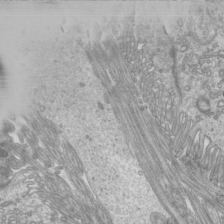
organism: Mouse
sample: Cilia; mouse epididymis